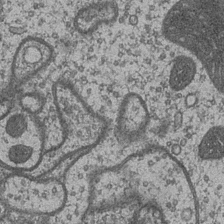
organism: Drosophila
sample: Optic medulla